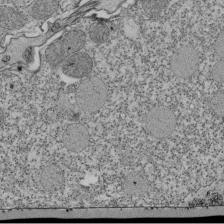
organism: Tetrahymena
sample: Cilia in tetrahymena